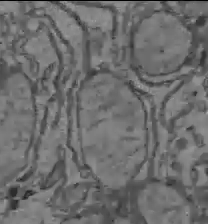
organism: C57BL Mouse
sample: Liver